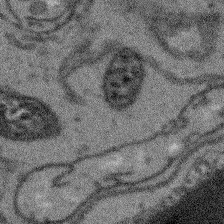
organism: Arabidopsis thaliana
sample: Root tip